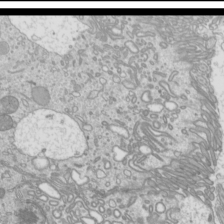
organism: Mouse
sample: Cilia; mouse epididymis